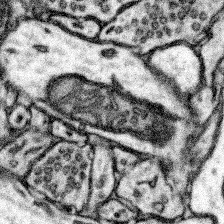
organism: Mouse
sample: Somatosensory cortex neuropil